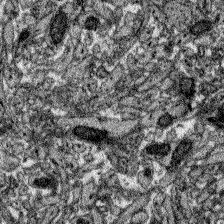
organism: Zebrafish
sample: Larval olfactory bulb